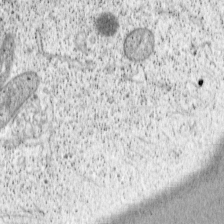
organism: African green monkey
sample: COS-7 cells